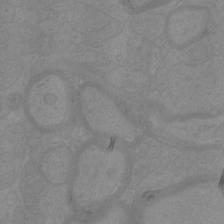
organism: Mouse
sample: Cortical neurons